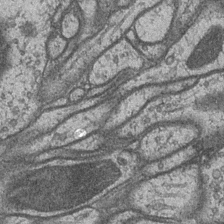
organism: Drosophila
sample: Optic medulla